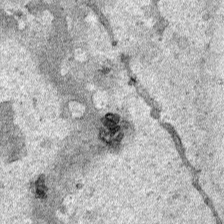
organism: Human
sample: Mitochondria in HCT116 cells